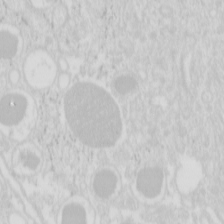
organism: Mouse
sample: Pancreas